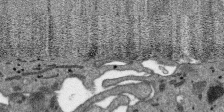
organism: Human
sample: Lung epithelial cells, uninfected (mock) control